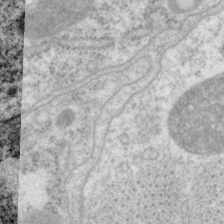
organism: P. pacificus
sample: Pharynx